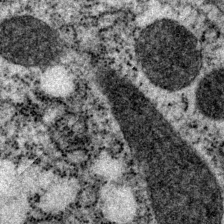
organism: P. pacificus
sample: Pharynx